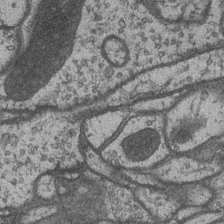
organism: Drosophila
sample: Optic medulla